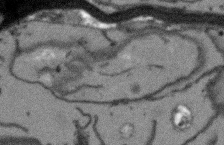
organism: Arabidopsis thaliana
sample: Root tip